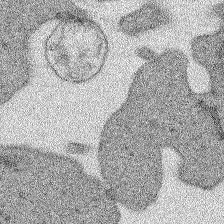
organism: Human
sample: HeLa cells